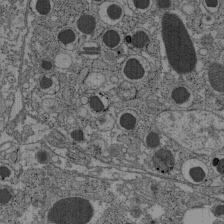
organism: C57BL Mouse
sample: Pancreatic islet